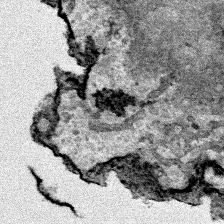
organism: Human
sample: Mitochondria in HCT116 cells